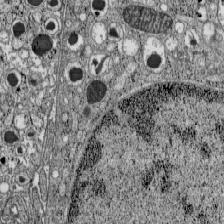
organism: C57BL Mouse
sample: Pancreatic islet